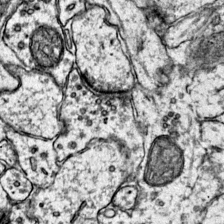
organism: Mouse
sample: Primary visual cortex